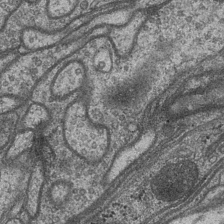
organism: Drosophila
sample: Optic medulla